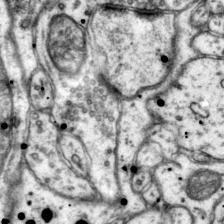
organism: Mouse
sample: Primary visual cortex